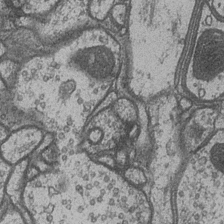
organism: Drosophila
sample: Optic medulla